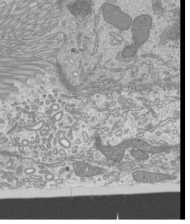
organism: Mouse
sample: Cilia; mouse epididymis